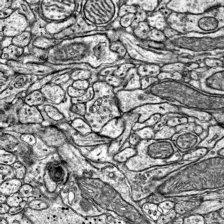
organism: Mouse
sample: Visual Cortex